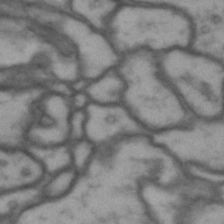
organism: Drosophila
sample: Brain